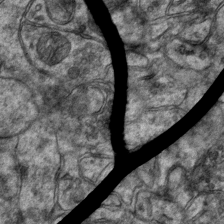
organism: Mouse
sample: CA1 Hippocampus